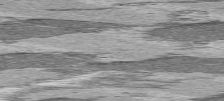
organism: C57BL Mouse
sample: Heart